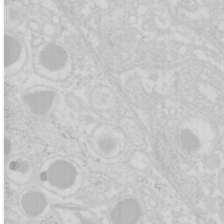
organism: Mouse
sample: Pancreas